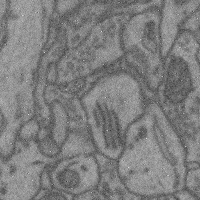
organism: Mouse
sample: Cerebral cortex